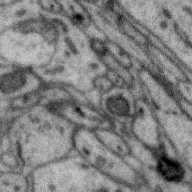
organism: Zebra finch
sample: Brain